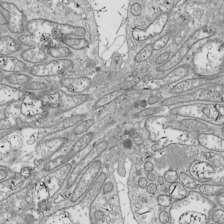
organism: Drosophila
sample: Cell division; meiosis; drosophila spermatocytes